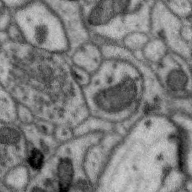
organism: Zebra finch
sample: Brain